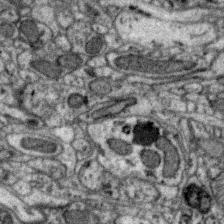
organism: Zebra finch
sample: Brain